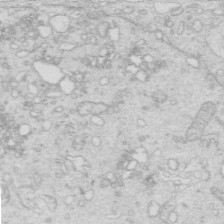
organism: Mouse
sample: Multiciliated cells